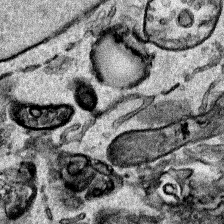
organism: Human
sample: Mitochondria in HCT116 cells